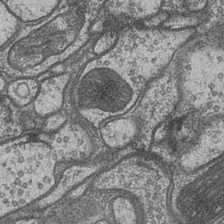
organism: Drosophila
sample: Optic medulla